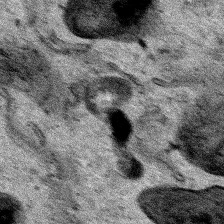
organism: Human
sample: Mitochondria in HCT116 cells